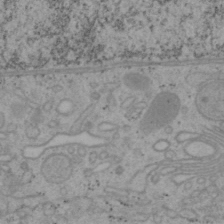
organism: Human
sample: HeLa cells